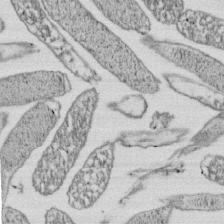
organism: E. coli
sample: Bacterial nucleoid